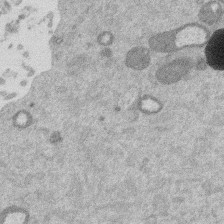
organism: Mouse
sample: Dividing mouse embryo 1 cell stage